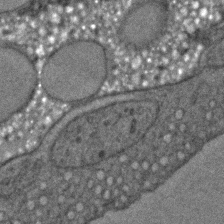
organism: C. elegans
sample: C. elegans embryo